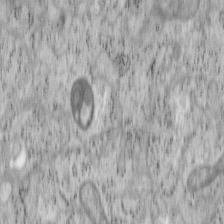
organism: Human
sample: HeLa cells